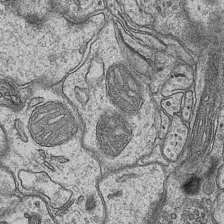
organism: Mouse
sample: CA1 Hippocampus